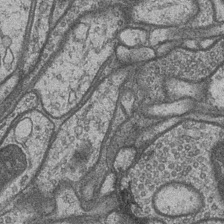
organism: Drosophila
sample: Optic medulla